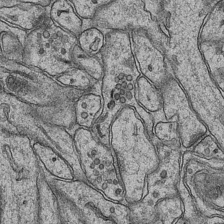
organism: Mouse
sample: CA1 Hippocampus